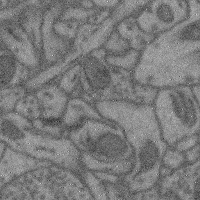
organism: Mouse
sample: Cerebral cortex